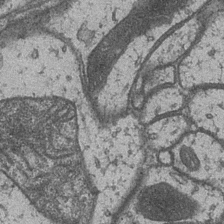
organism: Drosophila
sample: Optic medulla